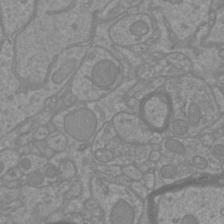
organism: Mouse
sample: Cortical neurons